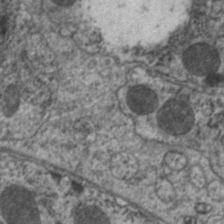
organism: C. elegans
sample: Pharynx